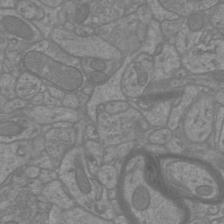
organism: Mouse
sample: Cortical neurons